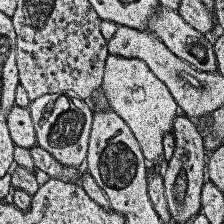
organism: Human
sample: Temporal Lobe